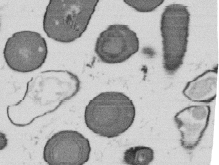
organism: B. subtilis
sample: Bacterial spore